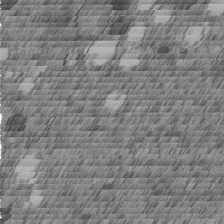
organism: C. elegans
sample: C. elegans embryo early stage